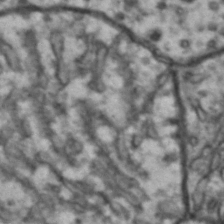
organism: Drosophila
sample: Brain